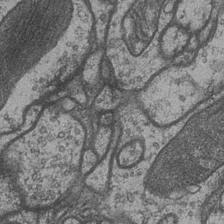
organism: Drosophila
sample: Optic medulla